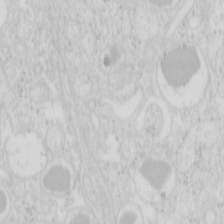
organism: Mouse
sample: Pancreas